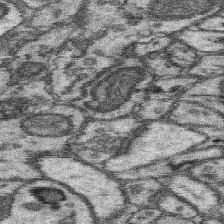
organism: Mouse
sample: Somatosensory cortex neuropil